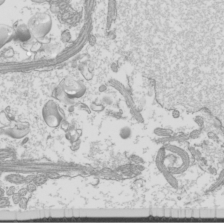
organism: Mouse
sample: Cilia; mouse epididymis